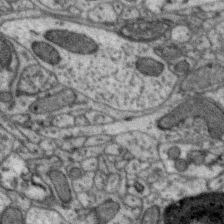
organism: Zebra finch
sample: Brain